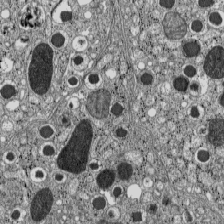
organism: C57BL Mouse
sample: Pancreatic islet